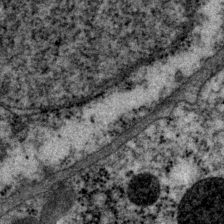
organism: P. pacificus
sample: Pharynx